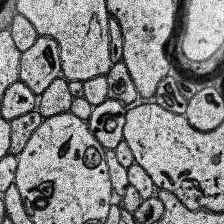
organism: Human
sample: Temporal Lobe